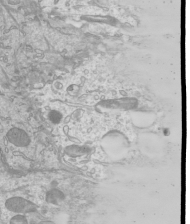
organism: Mouse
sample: Cilia; mouse epididymis